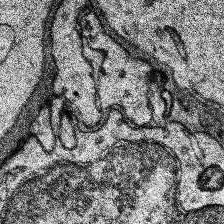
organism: Human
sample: Temporal Lobe